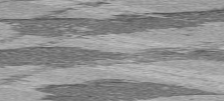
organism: C57BL Mouse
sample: Heart